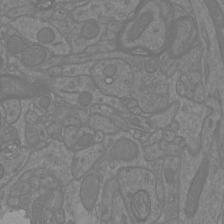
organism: Mouse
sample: Cortical neurons